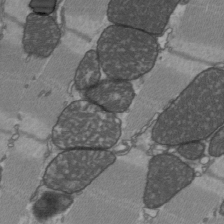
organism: C57BL Mouse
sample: Heart